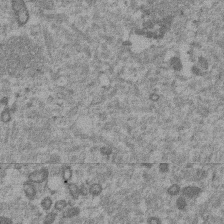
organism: Mouse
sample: Dividing mouse embryo 1 cell stage